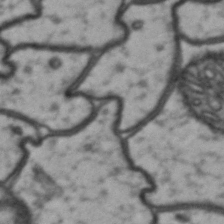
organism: Drosophila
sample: Brain